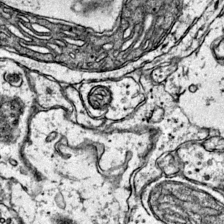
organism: Mouse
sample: Primary visual cortex